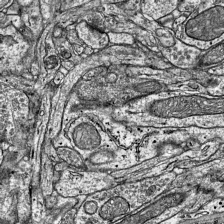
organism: Mouse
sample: Visual Cortex